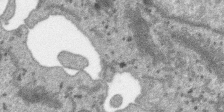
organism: Human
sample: Lung epithelial cells infected with SARS-CoV-2